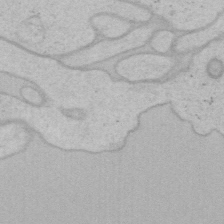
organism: Human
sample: HeLa cells